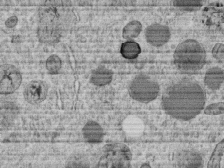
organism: C. elegans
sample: C. elegans embryo early stage